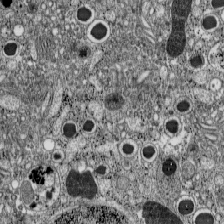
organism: C57BL Mouse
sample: Pancreatic islet